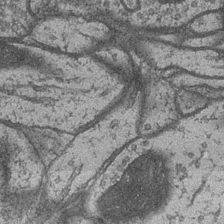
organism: Drosophila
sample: Optic medulla